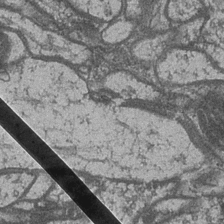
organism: Drosophila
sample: Optic medulla